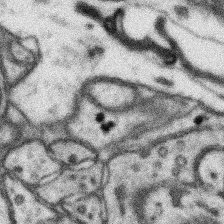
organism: Mouse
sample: Somatosensory cortex neuropil